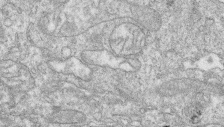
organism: Human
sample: HeLa cell HIV synapse